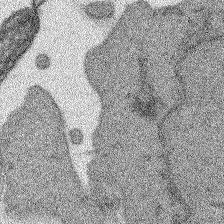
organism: Human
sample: HeLa cells